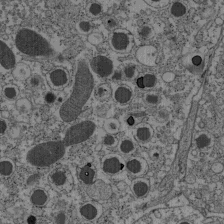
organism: C57BL Mouse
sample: Pancreatic islet